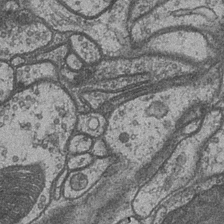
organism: Drosophila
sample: Optic medulla